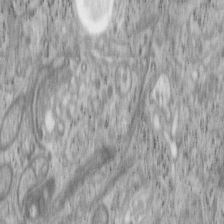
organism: Human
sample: HeLa cells